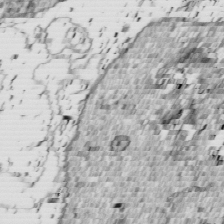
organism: Drosophila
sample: Cell division; meiosis; drosophila spermatocytes